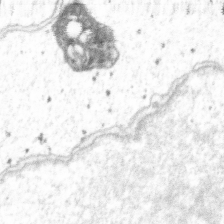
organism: Human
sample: HeLa cells